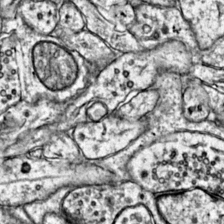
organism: Mouse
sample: Primary visual cortex